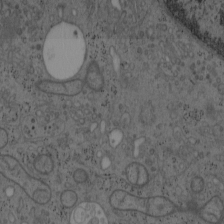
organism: Mouse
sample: OT-I killer T cells with ID8 ovarian cancer cells